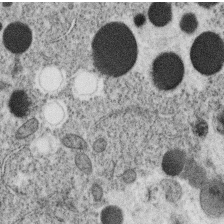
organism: C. elegans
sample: C. elegans oocyte; sperm cells